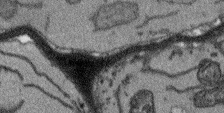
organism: Arabidopsis thaliana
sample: Root tip